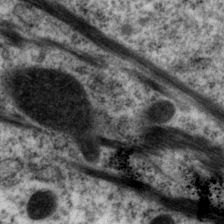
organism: P. pacificus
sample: Pharynx